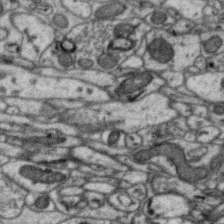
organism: Zebra finch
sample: Brain